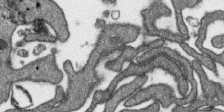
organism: Human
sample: Lung epithelial cells, uninfected (mock) control